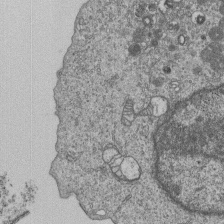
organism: Human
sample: MDA-MB-231 cells